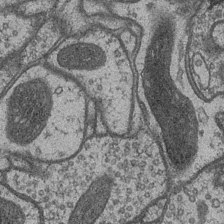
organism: Drosophila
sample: Optic medulla